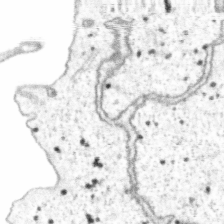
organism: Human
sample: HeLa cells